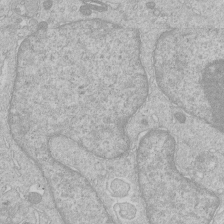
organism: Human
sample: Macrophage cells